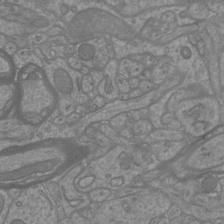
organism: Mouse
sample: Cortical neurons